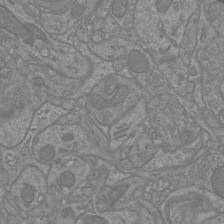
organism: Mouse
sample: Cortical neurons